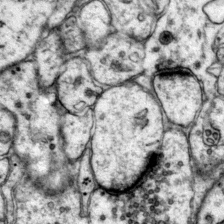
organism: Mouse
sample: Primary visual cortex